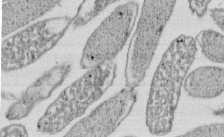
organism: E. coli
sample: Bacterial nucleoid